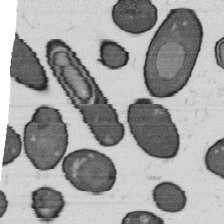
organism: B. subtilis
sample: Bacterial spore